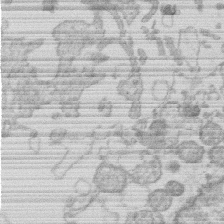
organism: Human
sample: Macrophage cells